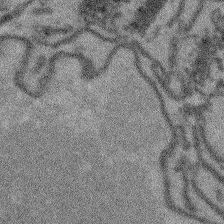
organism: Arabidopsis thaliana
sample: Root tip